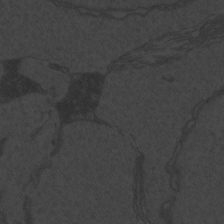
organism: Zebrafish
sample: Macrophage infected with Toxoplasma gondii